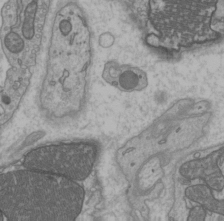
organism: C57BL Mouse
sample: Heart